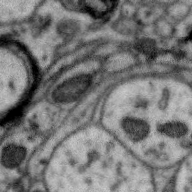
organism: Zebra finch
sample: Brain